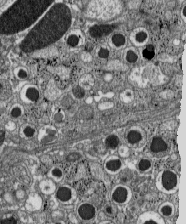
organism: C57BL Mouse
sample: Pancreatic islet